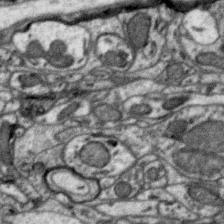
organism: Zebra finch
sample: Brain